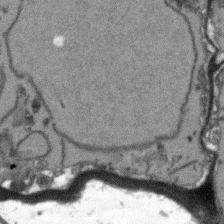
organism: Arabidopsis thaliana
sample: Root tip